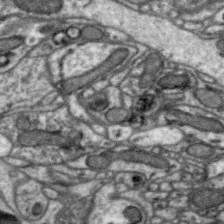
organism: Zebra finch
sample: Brain